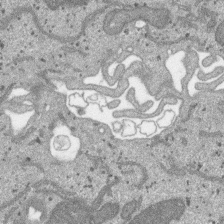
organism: Human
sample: Lung epithelial cells infected with SARS-CoV-2